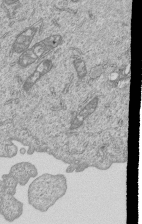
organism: Human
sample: MDA-MB-231 cells